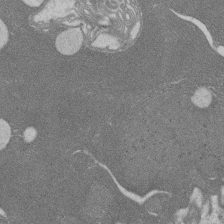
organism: Rat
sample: Salivary granule